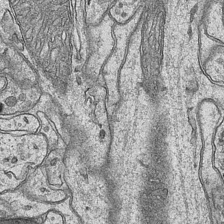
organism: Mouse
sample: CA1 Hippocampus